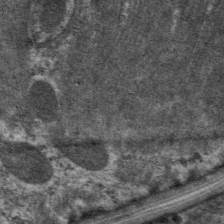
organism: C. elegans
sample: Pharynx